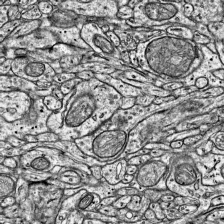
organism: Mouse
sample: Visual Cortex